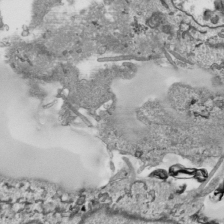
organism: Human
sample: Mitochondria in HCT116 cells